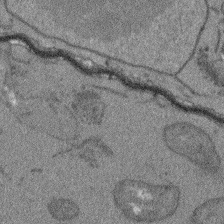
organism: Arabidopsis thaliana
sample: Root tip